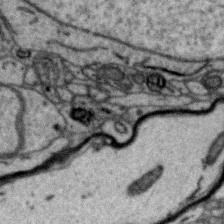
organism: Zebra finch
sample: Brain